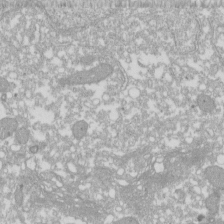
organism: Xenopus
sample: Cilia; centrioles in frog embryo cells